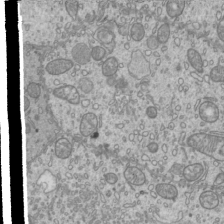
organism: Mouse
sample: Cilia; mouse epididymis